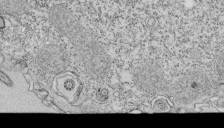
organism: Tetrahymena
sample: Cilia in tetrahymena